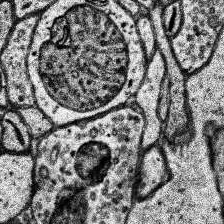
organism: Human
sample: Temporal Lobe